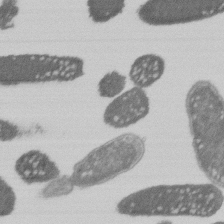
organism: E. coli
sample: Bacterial nucleoid